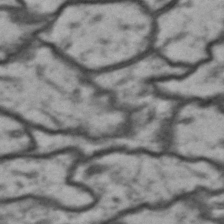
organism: Drosophila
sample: Brain